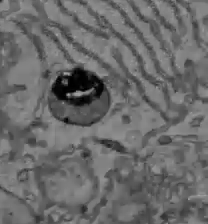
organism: C57BL Mouse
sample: Liver